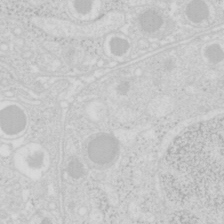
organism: Mouse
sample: Pancreas